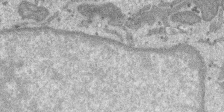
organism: Human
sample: Lung epithelial cells infected with SARS-CoV-2